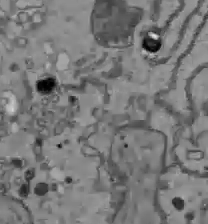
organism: C57BL Mouse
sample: Liver